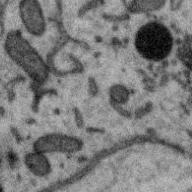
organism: Zebra finch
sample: Brain